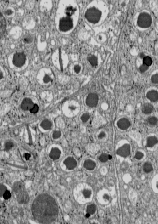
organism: C57BL Mouse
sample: Pancreatic islet